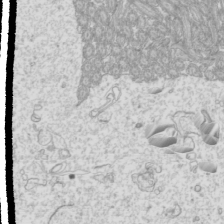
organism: Mouse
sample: Cilia; mouse epididymis